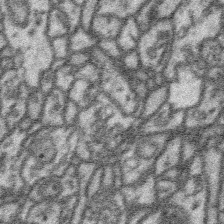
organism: Platynereis dumerilii